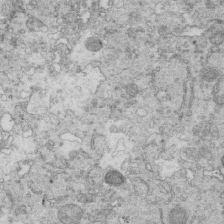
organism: Mouse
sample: Multiciliated cells